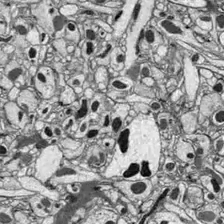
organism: Drosophila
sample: Optic lobe